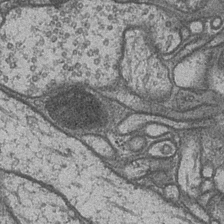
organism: Drosophila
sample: Optic medulla